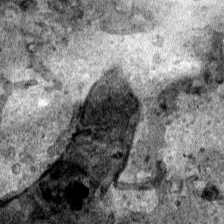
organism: Human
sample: Mitochondria in HCT116 cells